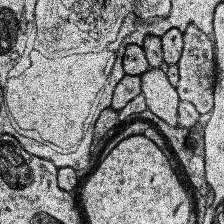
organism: Human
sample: Temporal Lobe